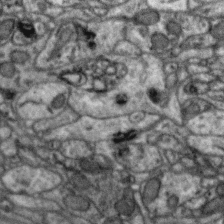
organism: Zebra finch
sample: Brain